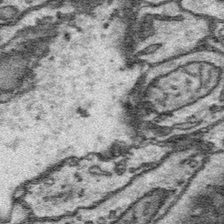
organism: Platynereis dumerilii